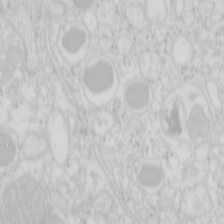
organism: Mouse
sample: Pancreas